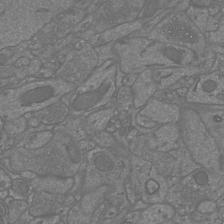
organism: Mouse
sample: Cortical neurons